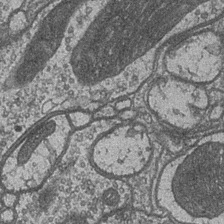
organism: Drosophila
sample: Optic medulla